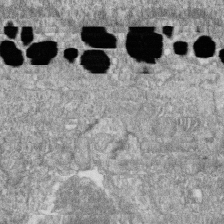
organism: Zebrafish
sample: Cilia; retinal pigment epithelium